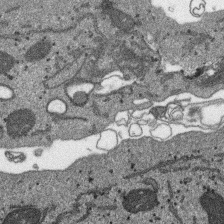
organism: Human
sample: Lung epithelial cells infected with SARS-CoV-2